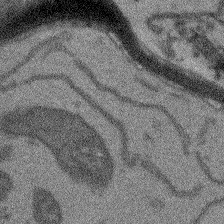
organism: Arabidopsis thaliana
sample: Root tip